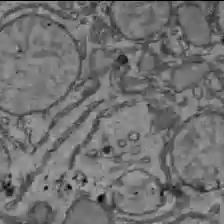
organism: C57BL Mouse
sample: Liver